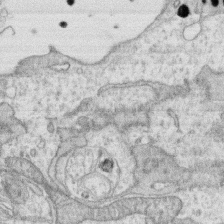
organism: Human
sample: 1205lu cells